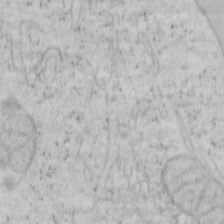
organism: Human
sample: HeLa cells